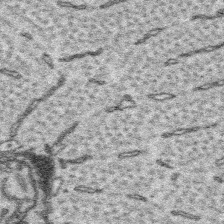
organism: Platynereis dumerilii